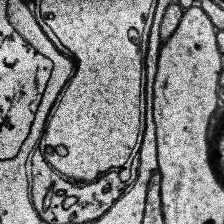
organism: Human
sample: Temporal Lobe